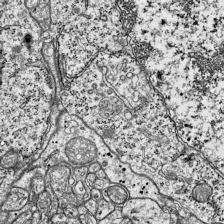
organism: Mouse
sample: Visual Cortex